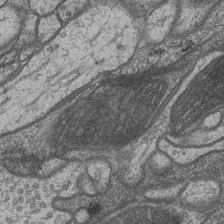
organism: Drosophila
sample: Optic medulla